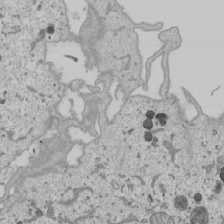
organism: Human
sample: Mitochondria in U2OS cells